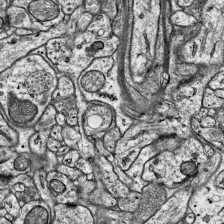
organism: Mouse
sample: Visual Cortex